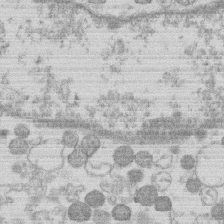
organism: Human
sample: Macrophage cells